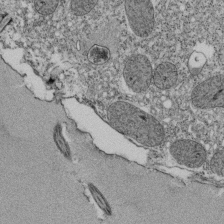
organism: Tetrahymena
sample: Cilia in tetrahymena